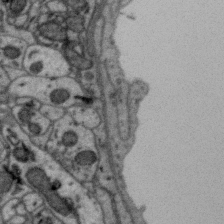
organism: Zebra finch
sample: Brain